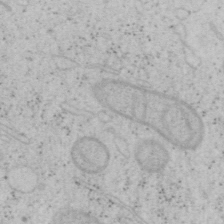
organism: Human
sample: HeLa cells